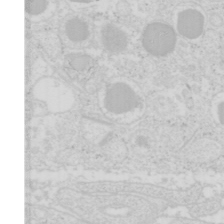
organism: Mouse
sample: Pancreas